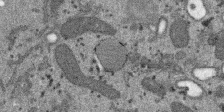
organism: Human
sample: Lung epithelial cells infected with SARS-CoV-2